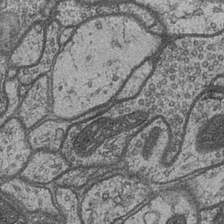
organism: Drosophila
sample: Optic medulla